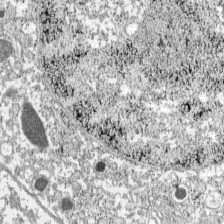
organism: C57BL Mouse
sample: Pancreatic islet